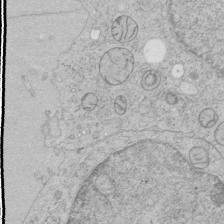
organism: Human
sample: Mitochondria in HCT116 cells